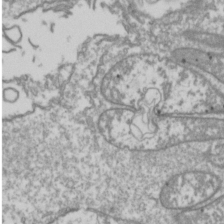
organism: Drosophila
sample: Cell division; meiosis; drosophila spermatocytes